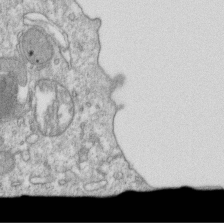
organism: Mouse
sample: Activated OT-1 CD8+ T cells